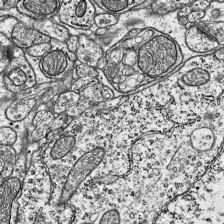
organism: Mouse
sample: Visual Cortex